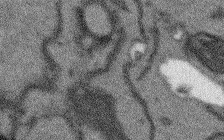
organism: Arabidopsis thaliana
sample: Root tip